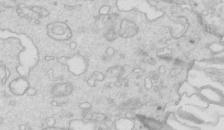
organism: Mouse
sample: Multiciliated cells